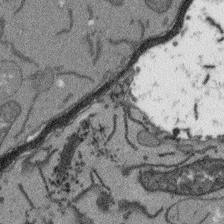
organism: Arabidopsis thaliana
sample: Root tip